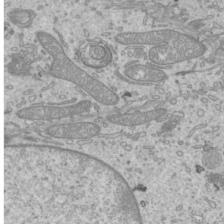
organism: Mouse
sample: Cilia; mouse epididymis